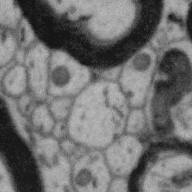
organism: Zebra finch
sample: Brain